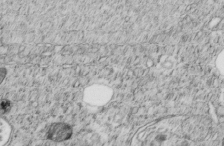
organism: C. elegans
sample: C. elegans embryo early stage